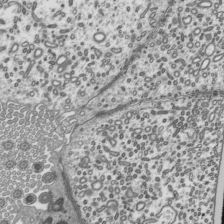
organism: Mouse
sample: Mouse epididymis efferent ductule cilia